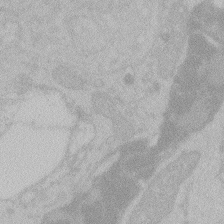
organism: Zebrafish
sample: Macrophage infected with Toxoplasma gondii